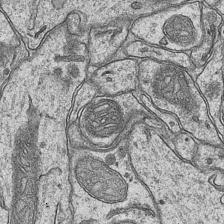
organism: Mouse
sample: CA1 Hippocampus